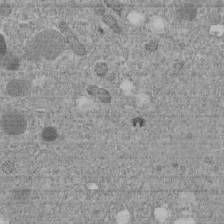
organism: C. elegans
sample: C. elegans embryo early stage